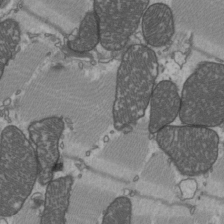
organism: C57BL Mouse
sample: Heart